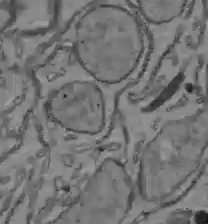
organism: C57BL Mouse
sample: Liver